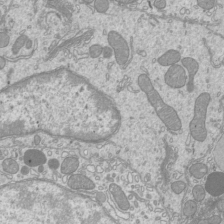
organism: Mouse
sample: Cilia; mouse epididymis